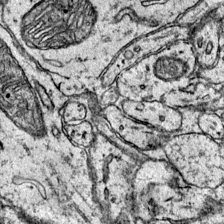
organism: Mouse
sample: Primary visual cortex